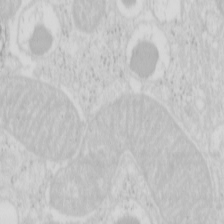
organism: Mouse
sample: Pancreas